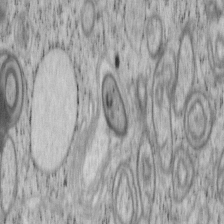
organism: Human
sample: HeLa cells